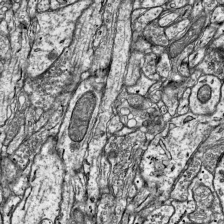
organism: Mouse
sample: Visual Cortex